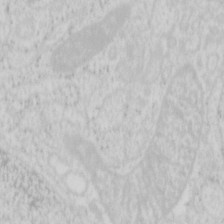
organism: Mouse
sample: Pancreas